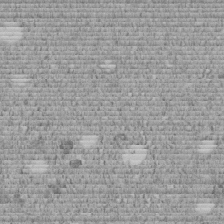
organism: C. elegans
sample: C. elegans embryo early stage